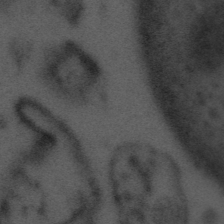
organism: Tuwongella immobilis